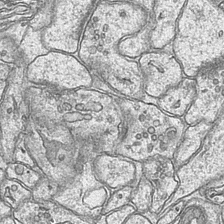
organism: Mouse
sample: CA1 Hippocampus